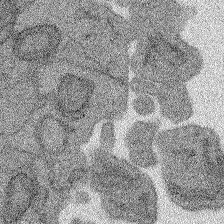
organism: Human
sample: HeLa cells